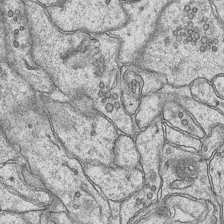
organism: Mouse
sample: CA1 Hippocampus